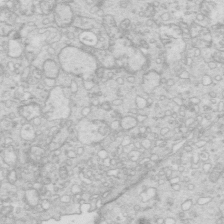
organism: Mouse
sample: Multiciliated cells